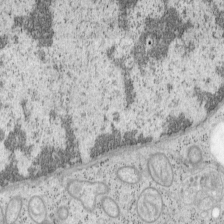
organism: Mouse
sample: OT-I killer T cells with ID8 ovarian cancer cells